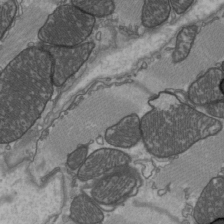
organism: C57BL Mouse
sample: Heart